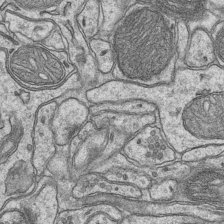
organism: Mouse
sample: CA1 Hippocampus